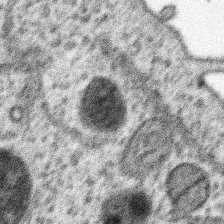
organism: Human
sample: HeLa cells